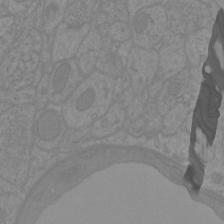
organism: Mouse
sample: Cortical neurons